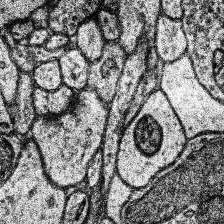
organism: Human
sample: Temporal Lobe